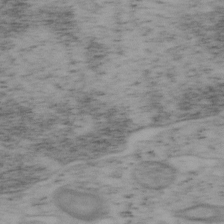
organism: Mouse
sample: OT-I killer T cells with ID8 ovarian cancer cells